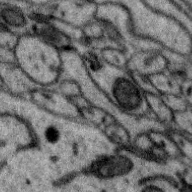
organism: Zebra finch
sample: Brain